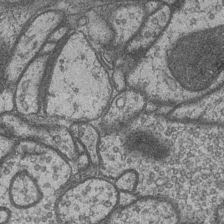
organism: Drosophila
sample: Optic medulla